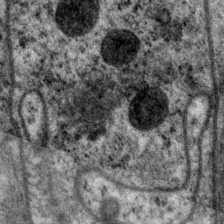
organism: P. pacificus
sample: Pharynx